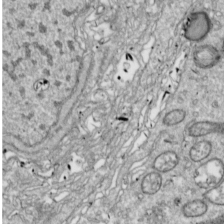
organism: Drosophila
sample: Cell division; meiosis; drosophila spermatocytes